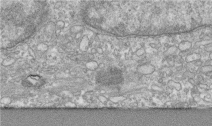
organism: Human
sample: Centriole in RPE cells